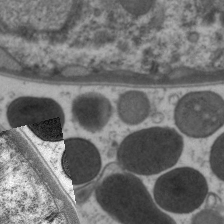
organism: C. elegans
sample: Pharynx